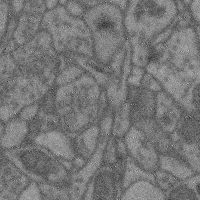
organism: Mouse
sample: Cerebral cortex